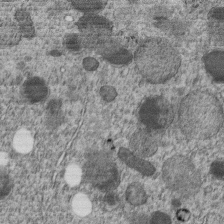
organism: C. elegans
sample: C. elegans embryo early stage